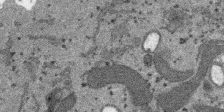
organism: Human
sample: Lung epithelial cells infected with SARS-CoV-2